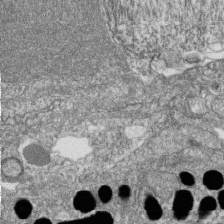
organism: Zebrafish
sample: Cilia; retinal pigment epithelium